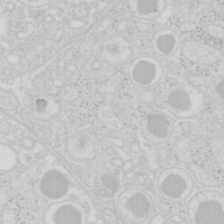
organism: Mouse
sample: Pancreas